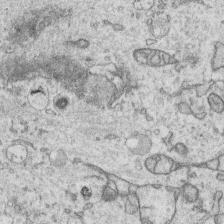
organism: Human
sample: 1205lu cells